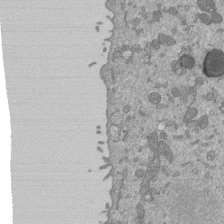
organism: Mouse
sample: ED-1 cell nuclei; centrioles